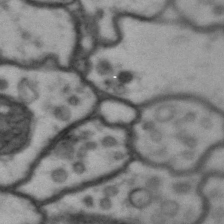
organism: Drosophila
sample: Brain